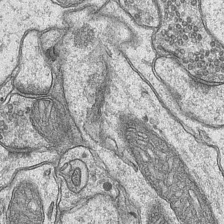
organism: Mouse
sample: CA1 Hippocampus